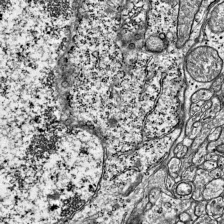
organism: Mouse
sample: Visual Cortex